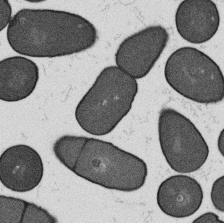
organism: B. subtilis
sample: Bacterial spore